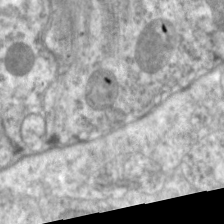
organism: C. elegans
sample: Pharynx